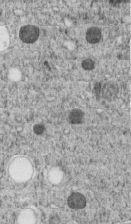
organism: C. elegans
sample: C. elegans embryo early stage